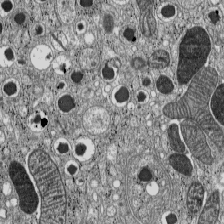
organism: C57BL Mouse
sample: Pancreatic islet